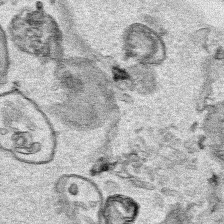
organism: Human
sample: Mitochondria in HCT116 cells